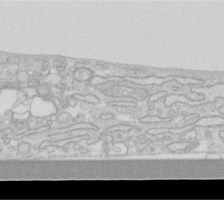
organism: Human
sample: Fibroblast cells